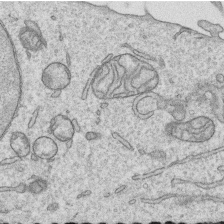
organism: Human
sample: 1205lu cells